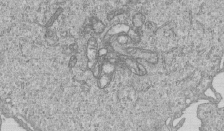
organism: Human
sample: MDA-MB-231 cells